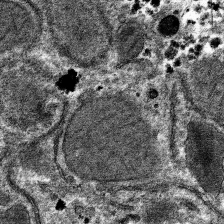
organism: Mouse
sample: Mouse hepatocytes